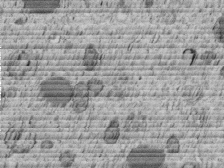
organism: C. elegans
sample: C. elegans embryo early stage